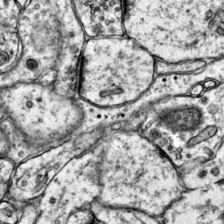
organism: Mouse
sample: Primary visual cortex